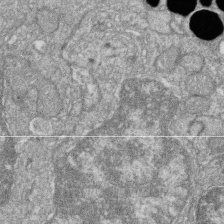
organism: Zebrafish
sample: Cilia; retinal pigment epithelium